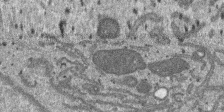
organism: Human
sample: Lung epithelial cells infected with SARS-CoV-2